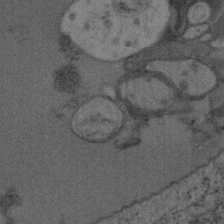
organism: Human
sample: HeLa cells